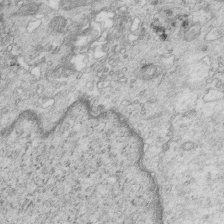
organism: Mouse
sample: Multiciliated cells